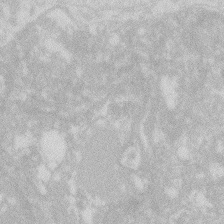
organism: Zebrafish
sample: Macrophage